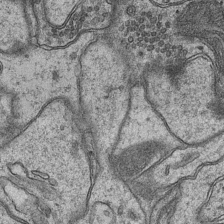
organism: Mouse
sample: CA1 Hippocampus